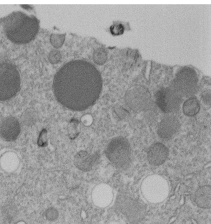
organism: C. elegans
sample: C. elegans embryo early stage